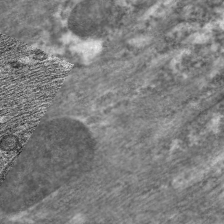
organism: C. elegans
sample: Pharynx